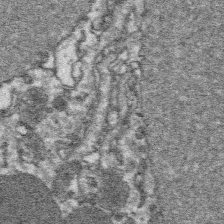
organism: Platynereis dumerilii